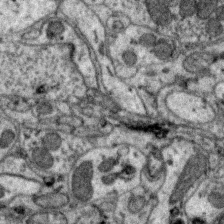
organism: Zebra finch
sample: Brain